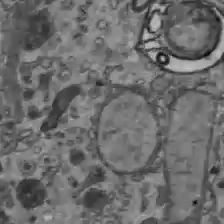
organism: C57BL Mouse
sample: Liver